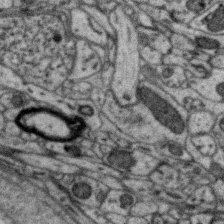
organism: Zebra finch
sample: Brain